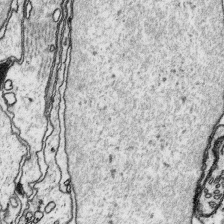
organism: Platynereis dumerilii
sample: Parapodia